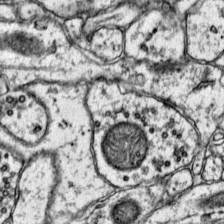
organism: Mouse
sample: Primary visual cortex